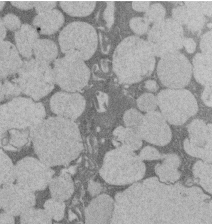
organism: Rat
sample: Salivary granule